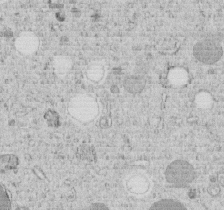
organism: C. elegans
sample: C. elegans embryo early stage